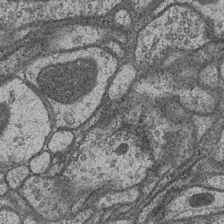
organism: Drosophila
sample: Optic medulla